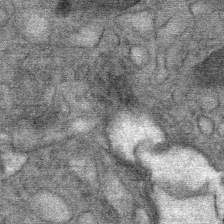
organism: Mouse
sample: Mouse Salivary gland